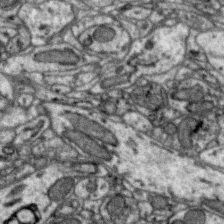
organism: Zebra finch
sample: Brain